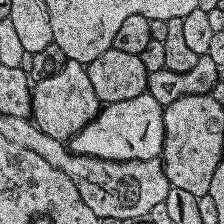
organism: Human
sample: Temporal Lobe